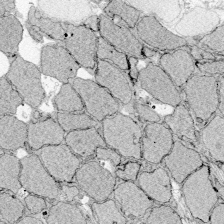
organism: Zebrafish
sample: Whole-Brain